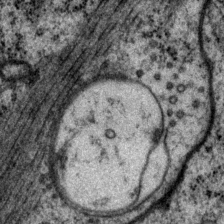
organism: P. pacificus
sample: Pharynx